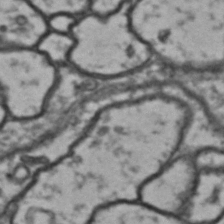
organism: Drosophila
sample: Brain